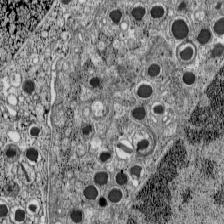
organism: C57BL Mouse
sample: Pancreatic islet